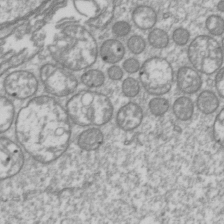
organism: Drosophila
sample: Cell division; meiosis; drosophila spermatocytes